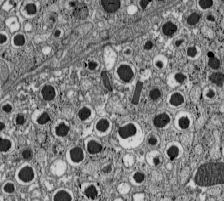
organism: C57BL Mouse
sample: Pancreatic islet